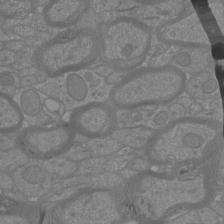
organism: Mouse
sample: Cortical neurons